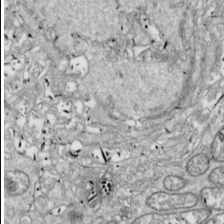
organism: Drosophila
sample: Cell division; meiosis; drosophila spermatocytes